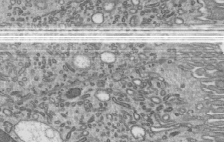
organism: Mouse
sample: Mouse epididymis efferent ductule cilia